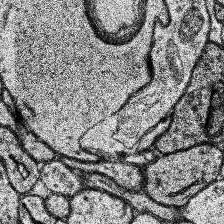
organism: Human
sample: Temporal Lobe